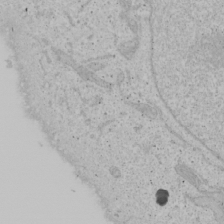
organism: Human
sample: Mitochondria in U2OS cells